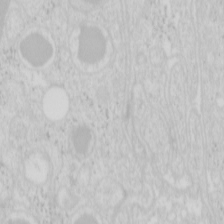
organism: Mouse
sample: Pancreas